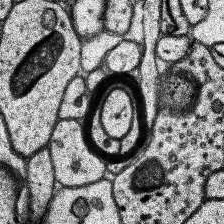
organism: Human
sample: Temporal Lobe